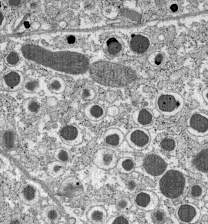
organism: C57BL Mouse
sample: Pancreatic islet